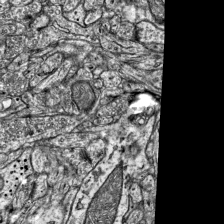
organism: Mouse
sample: Visual Cortex